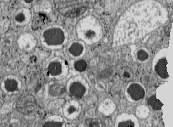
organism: C57BL Mouse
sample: Pancreatic islet